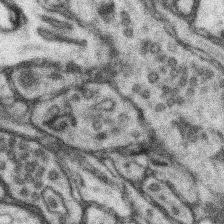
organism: Mouse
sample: Somatosensory cortex neuropil